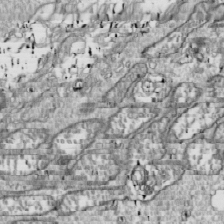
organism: Drosophila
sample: Cell division; meiosis; drosophila spermatocytes